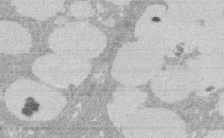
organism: Rat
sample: Salivary granule